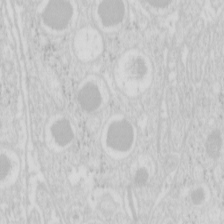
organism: Mouse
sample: Pancreas